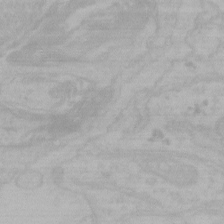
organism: Mouse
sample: Choroid plexus